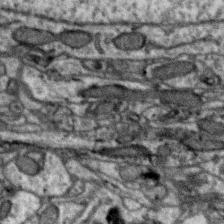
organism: Zebra finch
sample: Brain